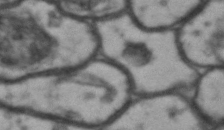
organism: Drosophila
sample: Brain